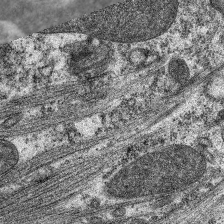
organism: C. elegans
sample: Pharynx